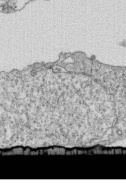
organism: Human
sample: HeLa cell HIV synapse